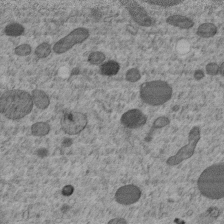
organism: C. elegans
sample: C. elegans embryo early stage